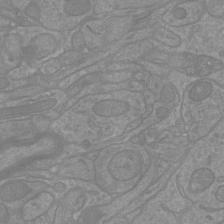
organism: Mouse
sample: Cortical neurons